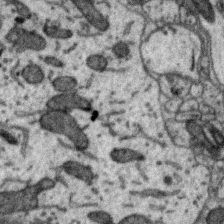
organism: Zebra finch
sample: Brain